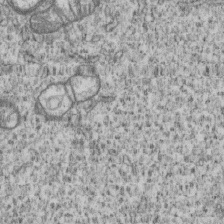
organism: Human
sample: MDA-MB-231 cells